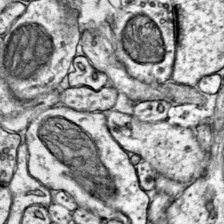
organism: Mouse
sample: Primary visual cortex